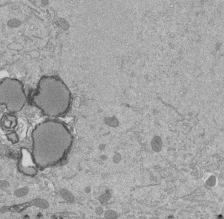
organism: Mouse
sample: ED-1 cell nuclei; centrioles